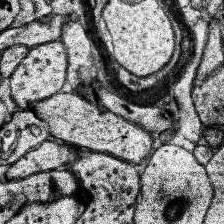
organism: Human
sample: Temporal Lobe